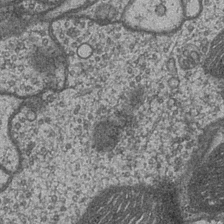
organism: Drosophila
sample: Optic medulla